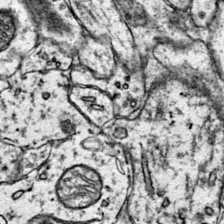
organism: Mouse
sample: Primary visual cortex